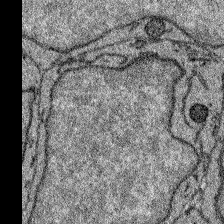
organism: Zebrafish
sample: Larval olfactory bulb